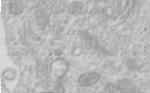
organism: Human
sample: Centriole in RPE cells